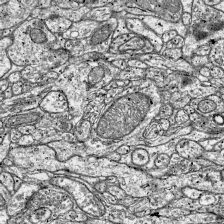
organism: Mouse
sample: Visual Cortex